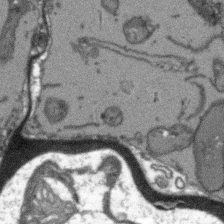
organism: Arabidopsis thaliana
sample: Root tip